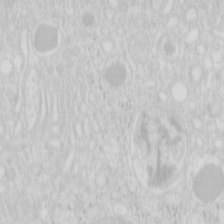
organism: Mouse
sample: Pancreas